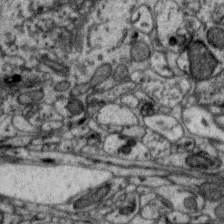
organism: Zebra finch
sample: Brain